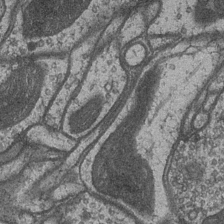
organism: Drosophila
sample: Optic medulla